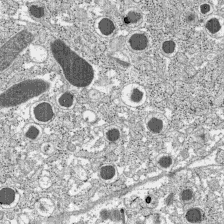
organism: C57BL Mouse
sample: Pancreatic islet